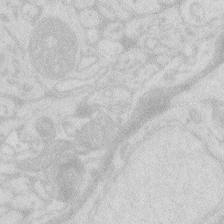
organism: Zebrafish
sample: Macrophage